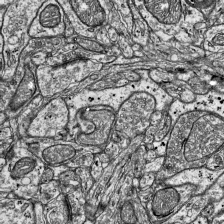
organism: Mouse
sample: Visual Cortex